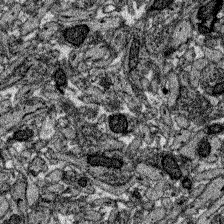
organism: Zebrafish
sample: Larval olfactory bulb